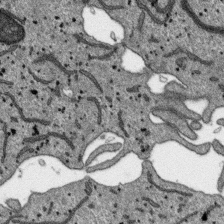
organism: Human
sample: Lung epithelial cells, uninfected (mock) control